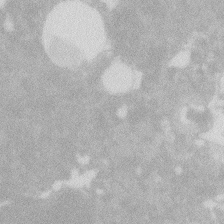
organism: Zebrafish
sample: Macrophage